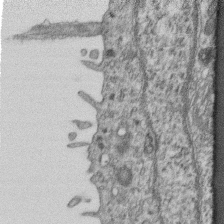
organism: Mouse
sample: Centriole in ependymal cells